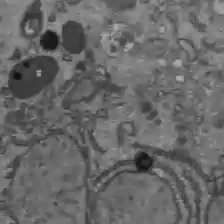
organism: C57BL Mouse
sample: Liver